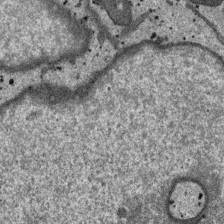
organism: Human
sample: Lung epithelial cells, uninfected (mock) control